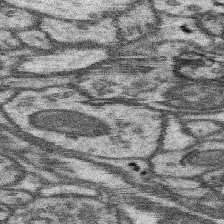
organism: Mouse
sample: Somatosensory cortex neuropil